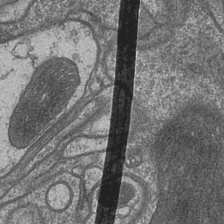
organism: Drosophila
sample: Optic medulla